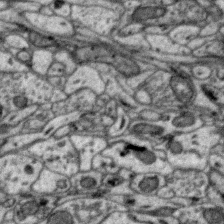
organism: Zebra finch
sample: Brain